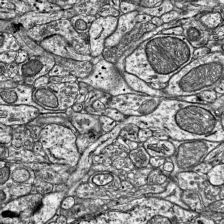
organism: Mouse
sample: Visual Cortex